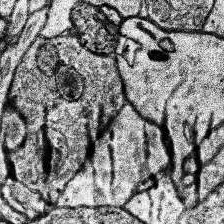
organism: Human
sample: Temporal Lobe